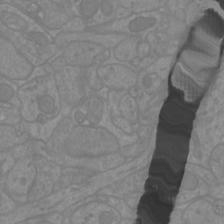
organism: Mouse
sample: Cortical neurons